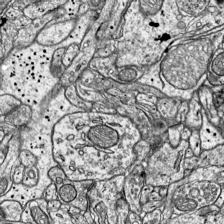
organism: Mouse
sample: Visual Cortex